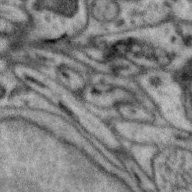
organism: Zebra finch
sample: Brain